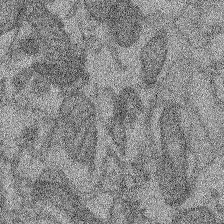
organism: Human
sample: HeLa cells